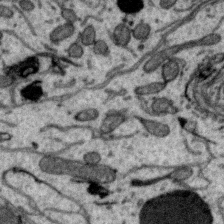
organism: Zebra finch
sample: Brain